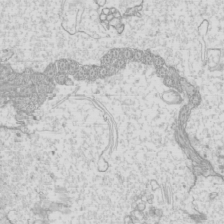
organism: Mouse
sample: Cilia; mouse epididymis